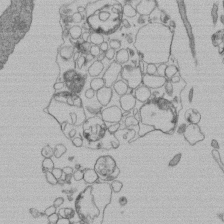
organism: Human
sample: Retinal organoid Rod and Cone cells